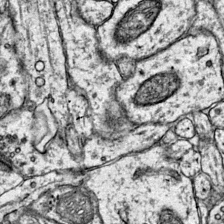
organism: Mouse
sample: Primary visual cortex